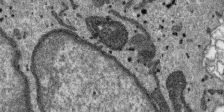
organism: Human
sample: Lung epithelial cells, uninfected (mock) control